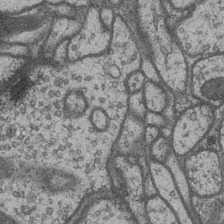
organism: Drosophila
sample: Optic medulla